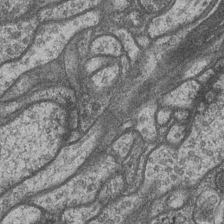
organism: Drosophila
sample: Optic medulla